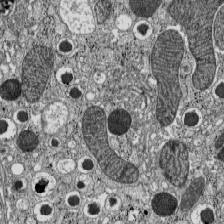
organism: C57BL Mouse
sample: Pancreatic islet